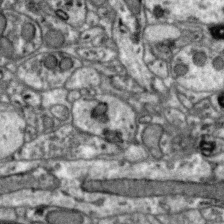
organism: Zebra finch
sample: Brain